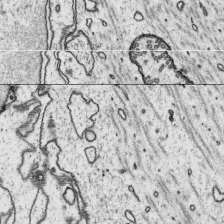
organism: Platynereis dumerilii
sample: Parapodia